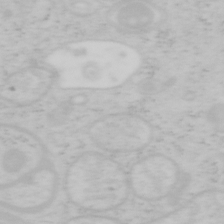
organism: Mouse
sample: OT-I killer T cells with ID8 ovarian cancer cells